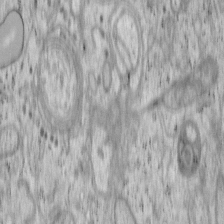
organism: Human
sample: HeLa cells